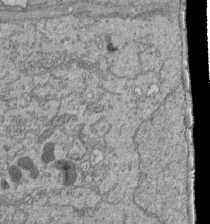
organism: Human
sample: Retinal organoid Rod and Cone cells